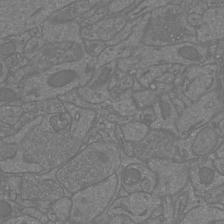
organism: Mouse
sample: Cortical neurons